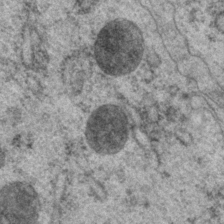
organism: P. pacificus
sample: Pharynx